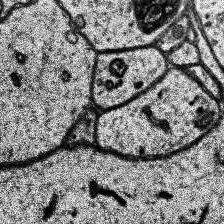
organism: Human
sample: Temporal Lobe